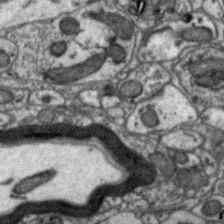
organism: Zebra finch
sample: Brain